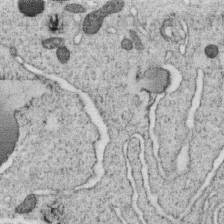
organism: C. elegans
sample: C. elegans oocyte; sperm cells